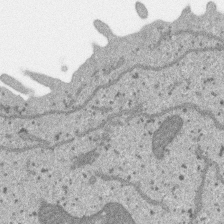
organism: Human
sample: Lung epithelial cells infected with SARS-CoV-2